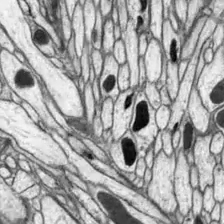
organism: Drosophila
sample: Optic lobe